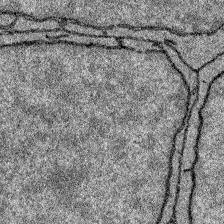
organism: Zebrafish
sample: Larval olfactory bulb